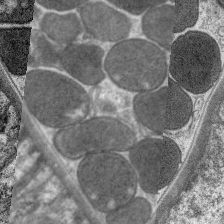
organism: C. elegans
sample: Pharynx